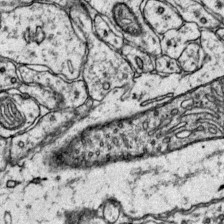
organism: Mouse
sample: Primary visual cortex